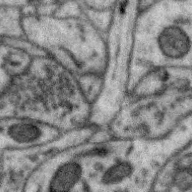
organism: Zebra finch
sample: Brain